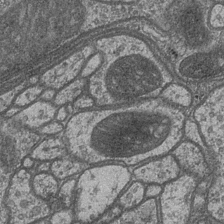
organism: Drosophila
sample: Optic medulla